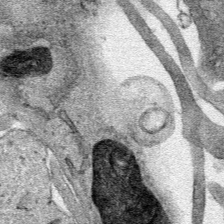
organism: Human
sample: Mitochondria in HCT116 cells